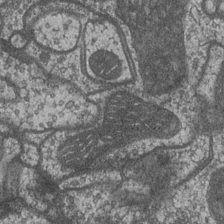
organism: Drosophila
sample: Optic medulla